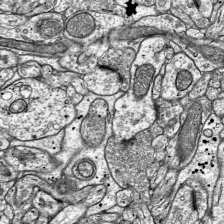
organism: Mouse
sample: Visual Cortex